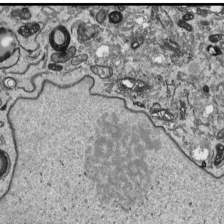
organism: Human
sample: Mitochondria in HCT116 cells